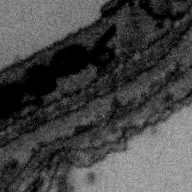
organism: Zebra finch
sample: Brain